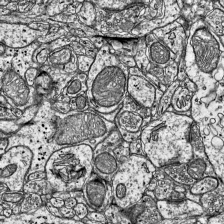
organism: Mouse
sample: Visual Cortex